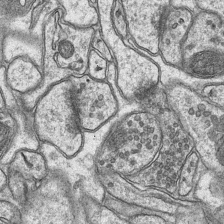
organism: Mouse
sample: CA1 Hippocampus